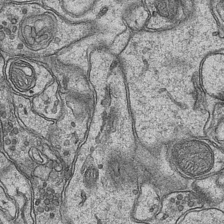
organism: Mouse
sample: CA1 Hippocampus